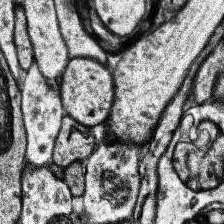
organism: Human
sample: Temporal Lobe